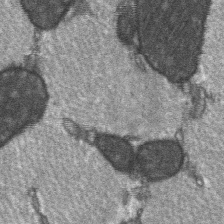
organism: C57BL Mouse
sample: Soleus